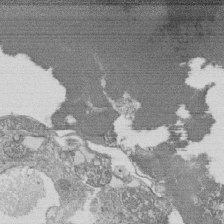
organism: Tetrahymena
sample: Cilia in tetrahymena